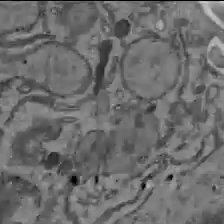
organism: C57BL Mouse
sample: Liver